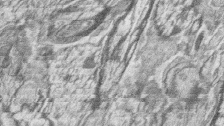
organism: Zebrafish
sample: synaptic ribbons in rod cells and cone cells